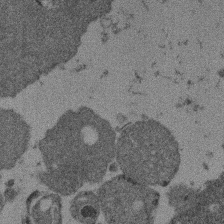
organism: Mouse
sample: Dividing mouse embryo 1 cell stage